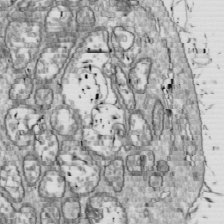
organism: Drosophila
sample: Cell division; meiosis; drosophila spermatocytes